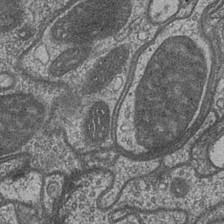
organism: Drosophila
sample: Optic medulla